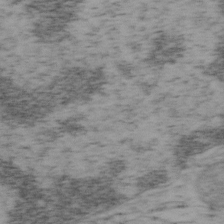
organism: Mouse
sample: OT-I killer T cells with ID8 ovarian cancer cells